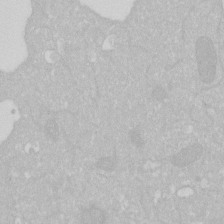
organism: Human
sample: HIV infected U937 cells